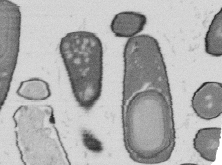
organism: B. subtilis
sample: Bacterial spore